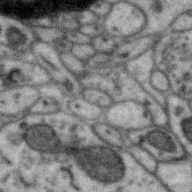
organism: Zebra finch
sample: Brain